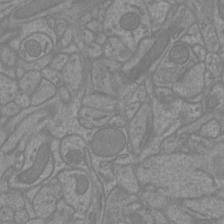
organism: Mouse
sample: Cortical neurons